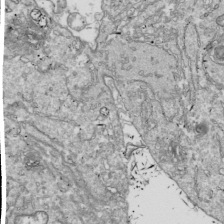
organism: Drosophila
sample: Cell division; meiosis; drosophila spermatocytes